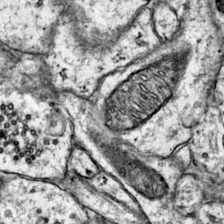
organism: Mouse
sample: Primary visual cortex